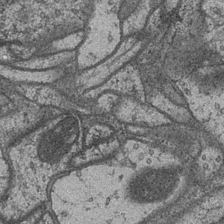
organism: Drosophila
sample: Optic medulla